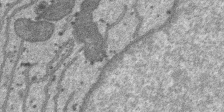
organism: Human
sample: Lung epithelial cells infected with SARS-CoV-2